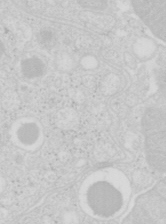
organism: Mouse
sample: Pancreas